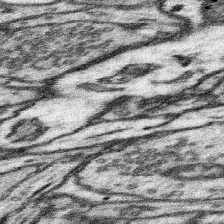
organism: Mouse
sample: Somatosensory cortex neuropil